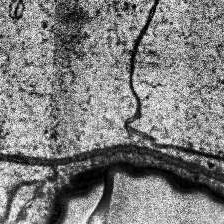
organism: Human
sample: Temporal Lobe